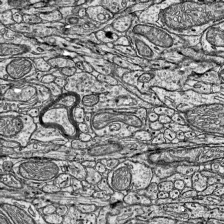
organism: Mouse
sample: Visual Cortex